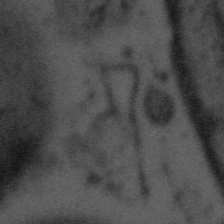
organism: Tuwongella immobilis